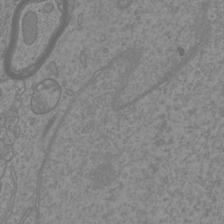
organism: Mouse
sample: Cortical neurons